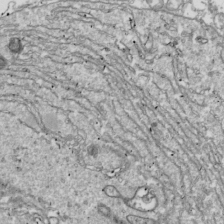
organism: Drosophila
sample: Cell division; meiosis; drosophila spermatocytes